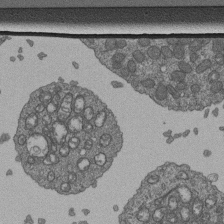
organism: Human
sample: Retinal organoid Rod and Cone cells